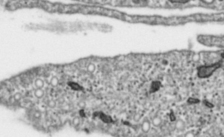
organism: Toxoplasma gondii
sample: Parasites in a vacuole inside a host cell